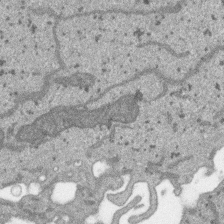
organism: Human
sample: Lung epithelial cells infected with SARS-CoV-2